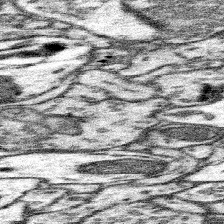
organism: Mouse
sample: Somatosensory cortex neuropil